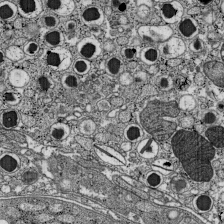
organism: C57BL Mouse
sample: Pancreatic islet